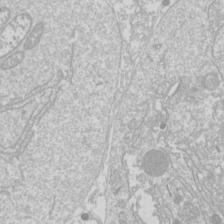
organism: Drosophila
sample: Cell division; meiosis; drosophila spermatocytes